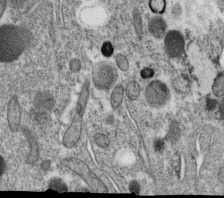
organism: C. elegans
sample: C. elegans oocyte; sperm cells